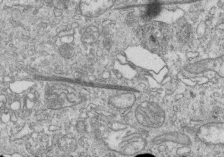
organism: Human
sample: HeLa cell HIV synapse